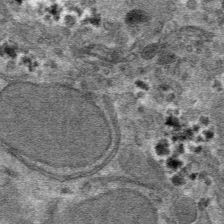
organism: Mouse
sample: Mouse hepatocytes